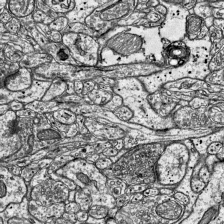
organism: Mouse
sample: Visual Cortex